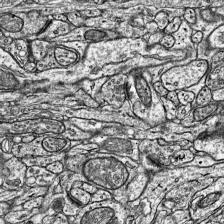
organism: Mouse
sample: Visual Cortex